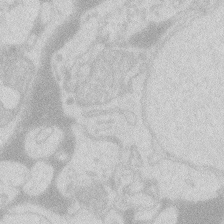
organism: Zebrafish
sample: Macrophage